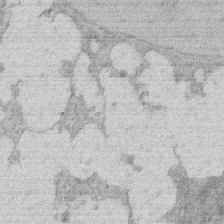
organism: Rat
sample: Salivary granule